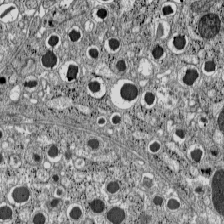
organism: C57BL Mouse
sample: Pancreatic islet